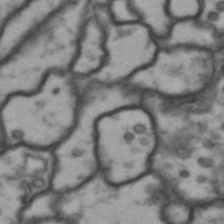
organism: Drosophila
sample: Brain